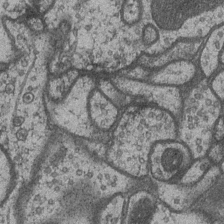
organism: Drosophila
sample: Optic medulla